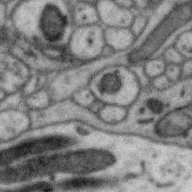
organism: Zebra finch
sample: Brain